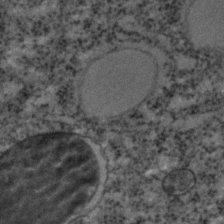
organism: C. elegans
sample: C. elegans embryo